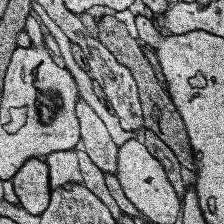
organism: Human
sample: Temporal Lobe